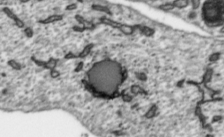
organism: Toxoplasma gondii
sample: Parasites in a vacuole inside a host cell